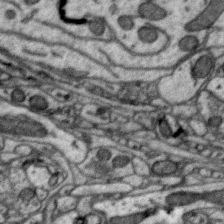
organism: Zebra finch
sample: Brain